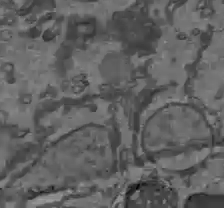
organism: C57BL Mouse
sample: Liver